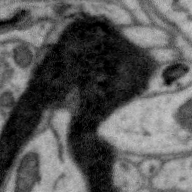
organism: Zebra finch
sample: Brain